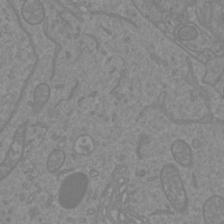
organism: Mouse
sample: Cortical neurons